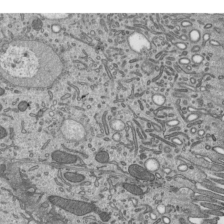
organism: Mouse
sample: Mouse epididymis efferent ductule cilia